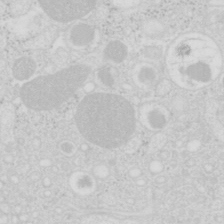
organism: Mouse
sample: Pancreas